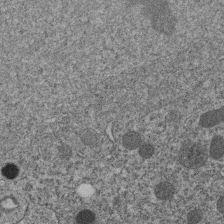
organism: C. elegans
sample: C. elegans embryo early stage